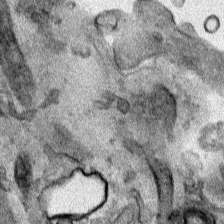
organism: Human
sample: Mitochondria in HCT116 cells